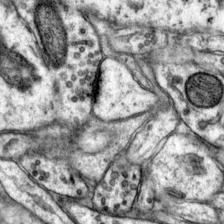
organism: Mouse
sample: Primary visual cortex